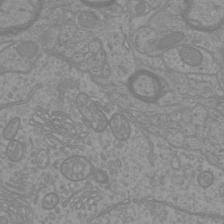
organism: Mouse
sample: Cortical neurons